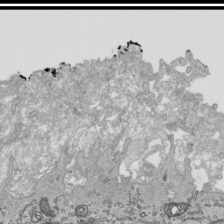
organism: Human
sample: Mitochondria in HCT116 cells